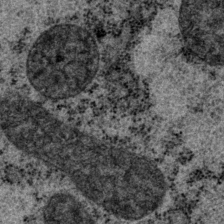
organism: P. pacificus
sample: Pharynx